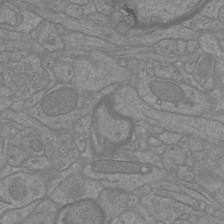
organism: Mouse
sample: Cortical neurons